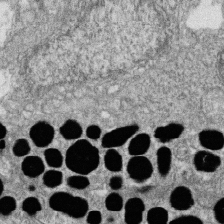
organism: Zebrafish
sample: Cilia; retinal pigment epithelium